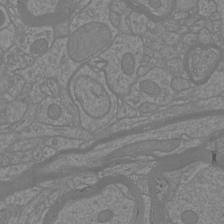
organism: Mouse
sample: Cortical neurons